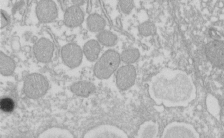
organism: Xenopus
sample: Cilia; centrioles in frog embryo cells